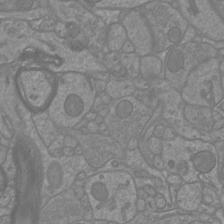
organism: Mouse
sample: Cortical neurons